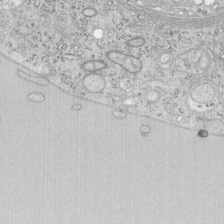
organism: Mouse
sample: OT-I killer T cells with ID8 ovarian cancer cells